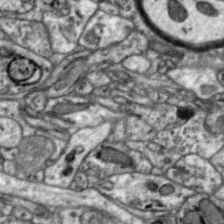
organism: Zebra finch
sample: Brain